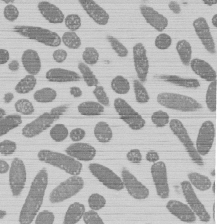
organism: E. coli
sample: Bacterial nucleoid